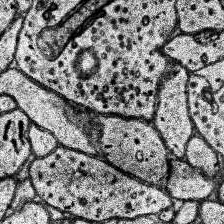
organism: Human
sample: Temporal Lobe